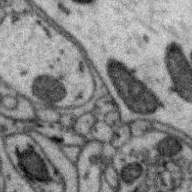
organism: Zebra finch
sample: Brain